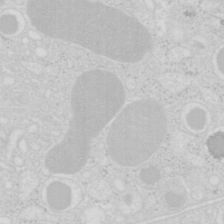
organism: Mouse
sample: Pancreas